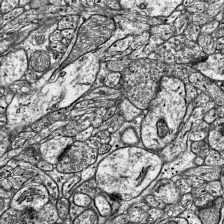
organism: Mouse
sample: Visual Cortex